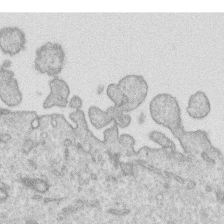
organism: Human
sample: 1205lu cells